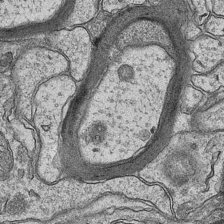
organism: Mouse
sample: CA1 Hippocampus